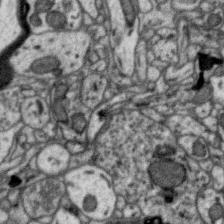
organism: Zebra finch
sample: Brain